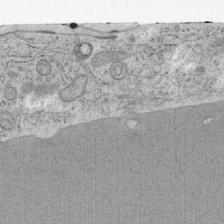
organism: Human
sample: HeLa cells